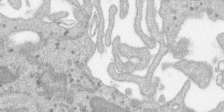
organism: Human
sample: Lung epithelial cells infected with SARS-CoV-2